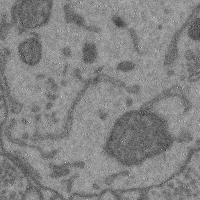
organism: Mouse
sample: Cerebral cortex